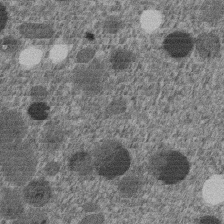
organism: C. elegans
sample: C. elegans embryo early stage